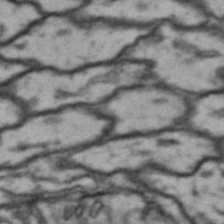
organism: Drosophila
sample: Brain